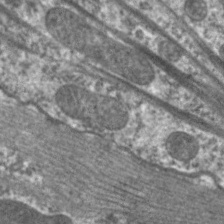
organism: C. elegans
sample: Pharynx